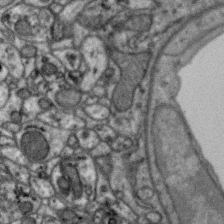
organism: Zebra finch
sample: Brain